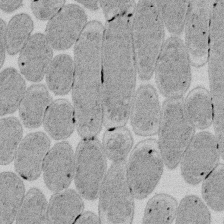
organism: E. coli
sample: Bacterial nucleoid